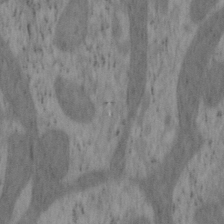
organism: Mouse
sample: OT-I killer T cells with ID8 ovarian cancer cells